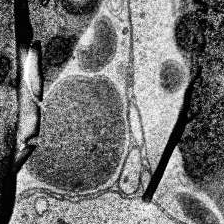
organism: Human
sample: Temporal Lobe